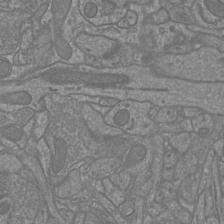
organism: Mouse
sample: Cortical neurons